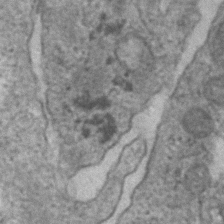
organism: Human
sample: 1205lu cells